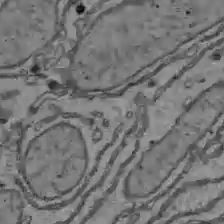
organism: C57BL Mouse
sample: Liver